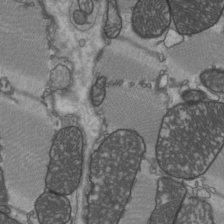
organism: C57BL Mouse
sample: Heart